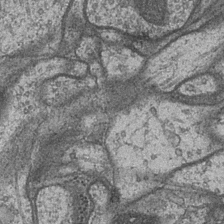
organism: Drosophila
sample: Optic medulla